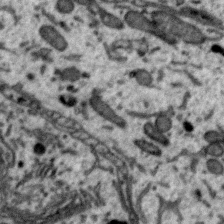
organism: Zebra finch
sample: Brain